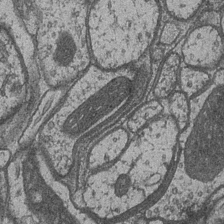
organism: Drosophila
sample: Optic medulla